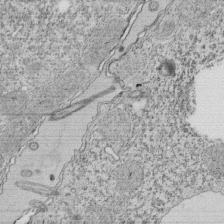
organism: Tetrahymena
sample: Cilia in tetrahymena